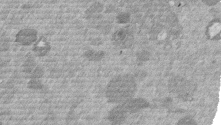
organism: Mouse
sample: Dividing mouse embryo 1 cell stage